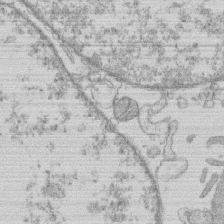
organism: Human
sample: Macrophage cells